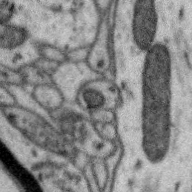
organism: Zebra finch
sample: Brain